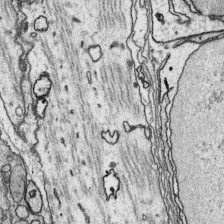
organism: Platynereis dumerilii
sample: Parapodia